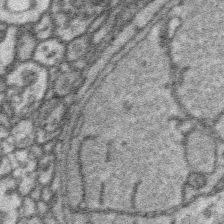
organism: Platynereis dumerilii